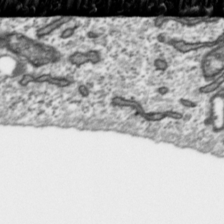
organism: Toxoplasma gondii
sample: Parasites in a vacuole inside a host cell